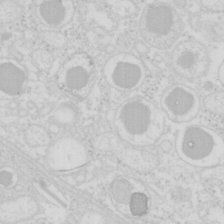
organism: Mouse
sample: Pancreas